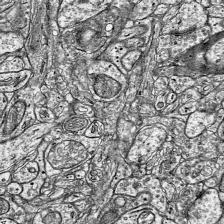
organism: Mouse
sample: Visual Cortex